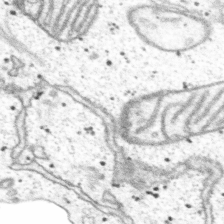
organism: Human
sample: HeLa cells